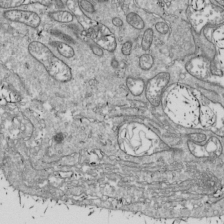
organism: Drosophila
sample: Cell division; meiosis; drosophila spermatocytes